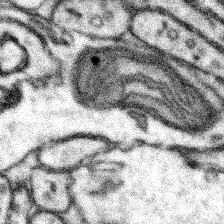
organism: Mouse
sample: Somatosensory cortex neuropil